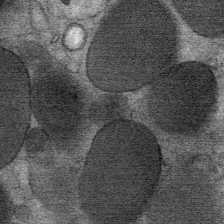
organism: Mouse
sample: Mouse Salivary gland